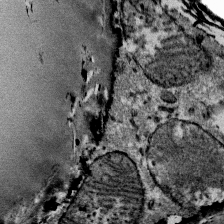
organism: Mouse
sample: Mouse Salivary gland